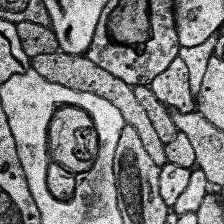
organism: Human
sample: Temporal Lobe